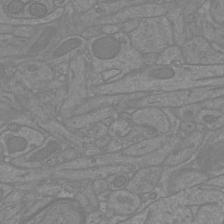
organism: Mouse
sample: Cortical neurons